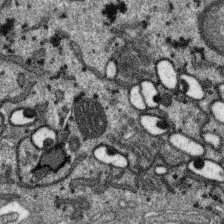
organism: Human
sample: Lung epithelial cells infected with SARS-CoV-2